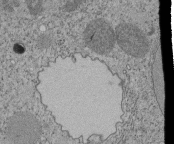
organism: Tetrahymena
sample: Cilia in tetrahymena